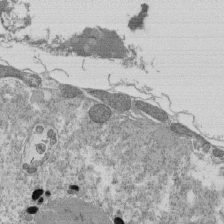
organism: Tetrahymena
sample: Cilia in tetrahymena